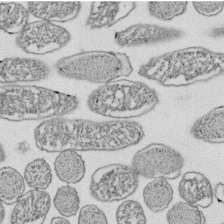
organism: E. coli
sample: Bacterial nucleoid